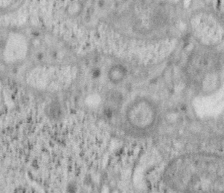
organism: Mouse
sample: OT-I killer T cells with ID8 ovarian cancer cells